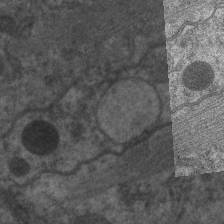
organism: C. elegans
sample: Pharynx